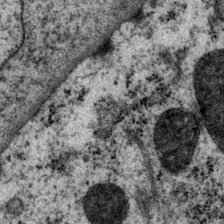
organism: P. pacificus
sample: Pharynx